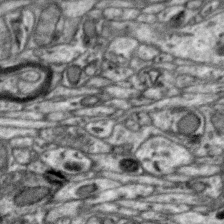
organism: Zebra finch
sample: Brain